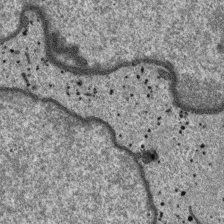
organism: Human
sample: Lung epithelial cells, uninfected (mock) control